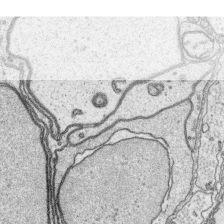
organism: Platynereis dumerilii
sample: Parapodia